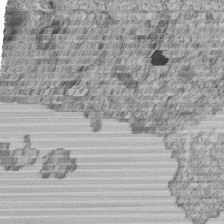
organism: Human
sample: MDA-MB-231 cells